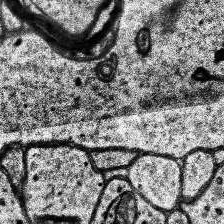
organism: Human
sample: Temporal Lobe